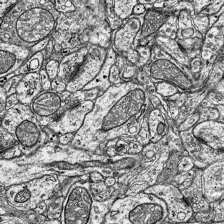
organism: Mouse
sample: Visual Cortex